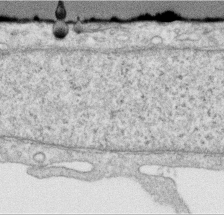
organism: Human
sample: Centriole in RPE cells